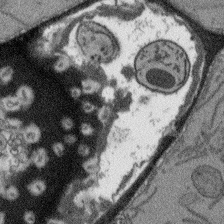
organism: Arabidopsis thaliana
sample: Root tip